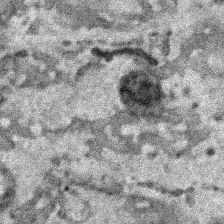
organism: Human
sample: Mitochondria in HCT116 cells